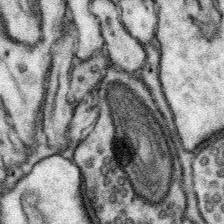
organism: Mouse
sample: Somatosensory cortex neuropil